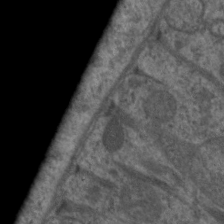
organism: C. elegans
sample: Pharynx